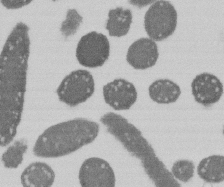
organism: E. coli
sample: Bacterial nucleoid